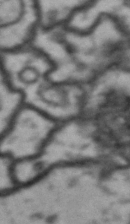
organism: Drosophila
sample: Brain